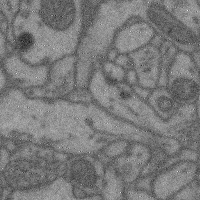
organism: Mouse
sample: Cerebral cortex